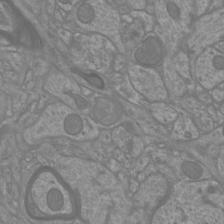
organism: Mouse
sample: Cortical neurons